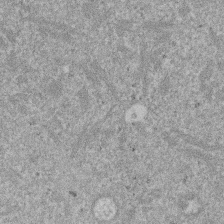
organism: Mouse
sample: Dividing mouse embryo 1 cell stage